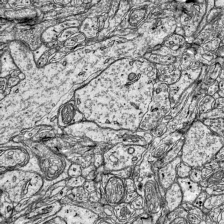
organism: Mouse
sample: Visual Cortex